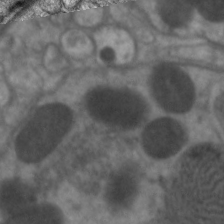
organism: C. elegans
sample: Pharynx